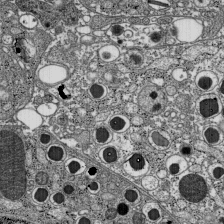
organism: C57BL Mouse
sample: Pancreatic islet